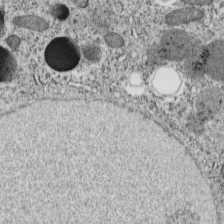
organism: C. elegans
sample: C. elegans embryo early stage